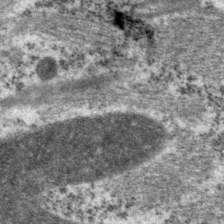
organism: P. pacificus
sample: Pharynx